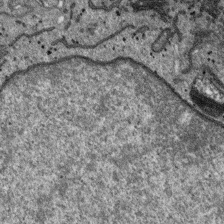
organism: Human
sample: Lung epithelial cells, uninfected (mock) control